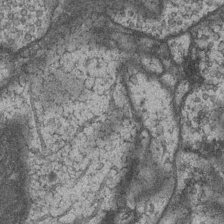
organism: Drosophila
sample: Optic medulla